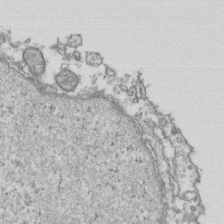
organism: Human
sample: Activated Jurkat CD4+ T cells